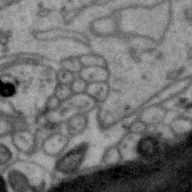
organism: Zebra finch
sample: Brain